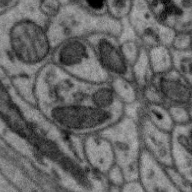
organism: Zebra finch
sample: Brain